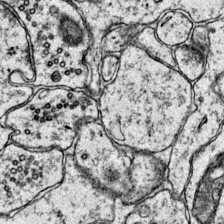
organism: Mouse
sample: Primary visual cortex